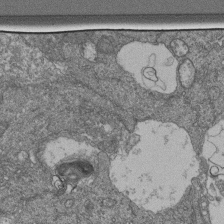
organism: Human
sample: Retinal organoid Rod and Cone cells